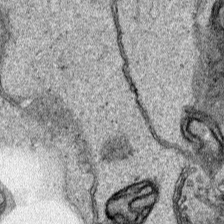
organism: Human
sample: Mitochondria in HCT116 cells